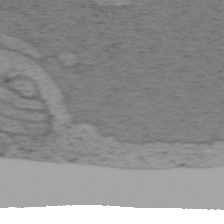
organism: Mouse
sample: OT-I killer T cells with ID8 ovarian cancer cells